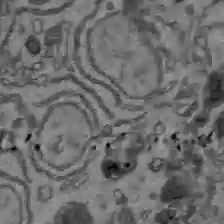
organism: C57BL Mouse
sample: Liver